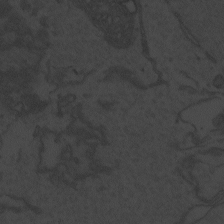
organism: Zebrafish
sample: Macrophage infected with Toxoplasma gondii